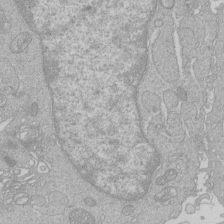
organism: Human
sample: Macrophage cells